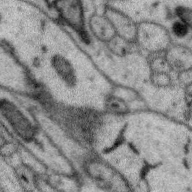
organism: Zebra finch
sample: Brain